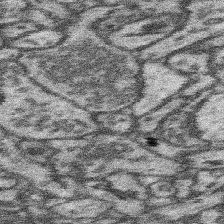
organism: Mouse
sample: Somatosensory cortex neuropil